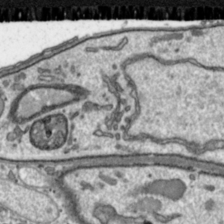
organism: Toxoplasma gondii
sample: Parasites in a vacuole inside a host cell